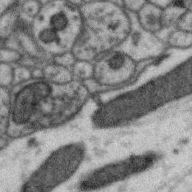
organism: Zebra finch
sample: Brain